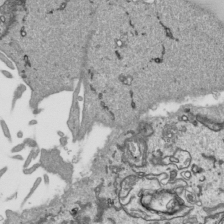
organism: Human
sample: Mitochondria in HCT116 cells